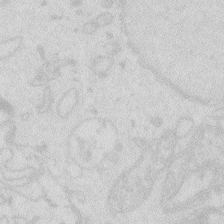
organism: Zebrafish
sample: Macrophage